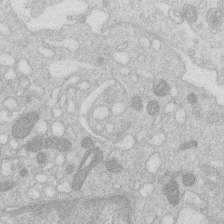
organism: Human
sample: Macrophage cells